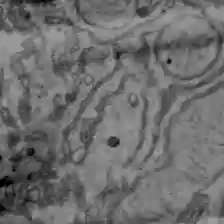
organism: C57BL Mouse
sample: Liver